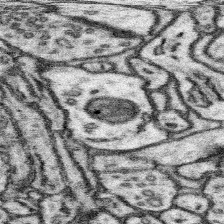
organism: Mouse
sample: Somatosensory cortex neuropil